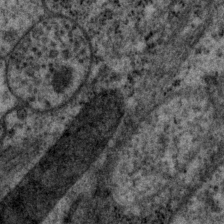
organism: P. pacificus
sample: Pharynx